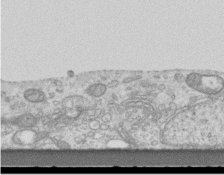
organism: Mouse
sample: Centriole in ependymal cells